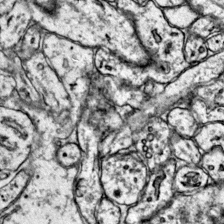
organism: Mouse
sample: Primary visual cortex